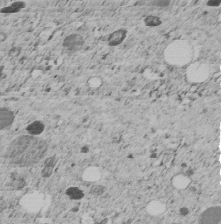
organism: C. elegans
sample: C. elegans embryo early stage